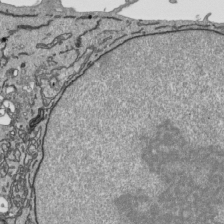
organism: Human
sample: Mitochondria in HCT116 cells